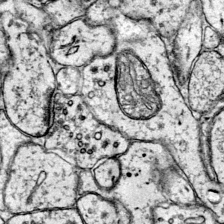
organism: Mouse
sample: Primary visual cortex